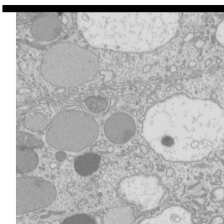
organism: Mouse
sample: Cilia; mouse epididymis